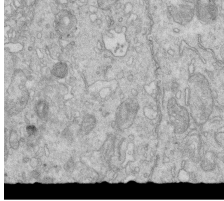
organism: Mouse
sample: Multiciliated cells